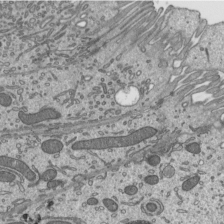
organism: Mouse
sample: Mouse epididymis efferent ductule cilia